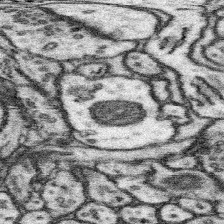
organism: Mouse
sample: Somatosensory cortex neuropil